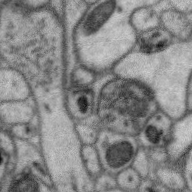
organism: Zebra finch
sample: Brain